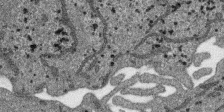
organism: Human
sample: Lung epithelial cells infected with SARS-CoV-2